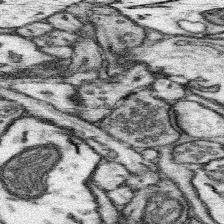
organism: Mouse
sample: Somatosensory cortex neuropil